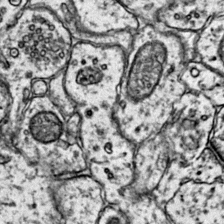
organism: Mouse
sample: Primary visual cortex